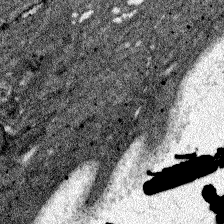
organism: Zebrafish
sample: Larval olfactory bulb